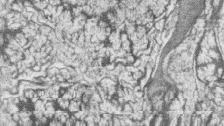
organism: Zebrafish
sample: synaptic ribbons in rod cells and cone cells